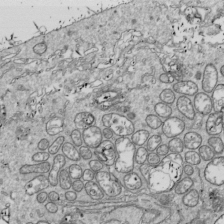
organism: Drosophila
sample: Cell division; meiosis; drosophila spermatocytes